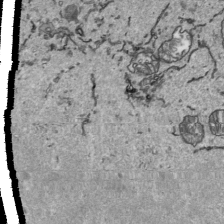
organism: Human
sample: Mitochondria in HCT116 cells